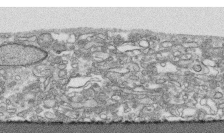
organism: Human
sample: CRL-1474